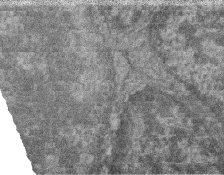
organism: Zebrafish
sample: Cilia; retinal pigment epithelium